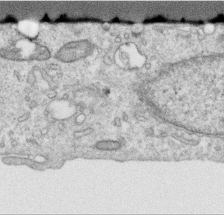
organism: Human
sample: Centriole in RPE cells